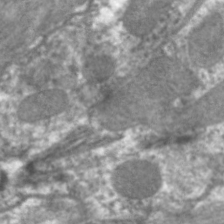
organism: C. elegans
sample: Pharynx